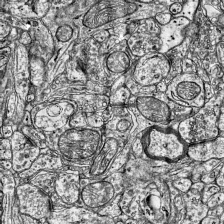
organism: Mouse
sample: Visual Cortex